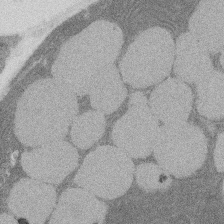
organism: Rat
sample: Salivary granule